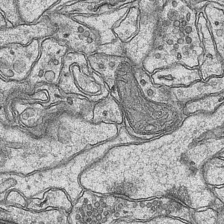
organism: Mouse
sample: CA1 Hippocampus